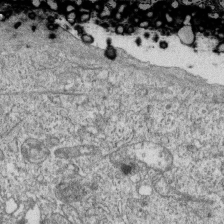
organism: Human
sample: HeLa cell HIV synapse